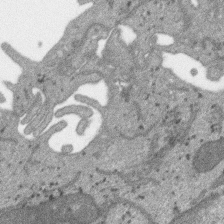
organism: Human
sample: Lung epithelial cells infected with SARS-CoV-2